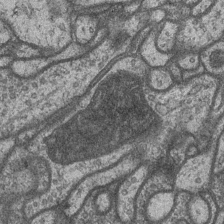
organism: Drosophila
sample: Optic medulla